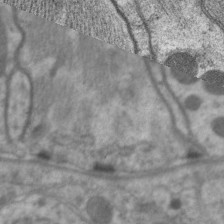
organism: C. elegans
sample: Pharynx